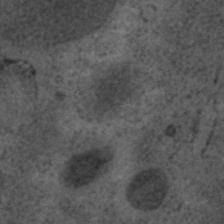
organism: C. elegans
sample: C. elegans embryo